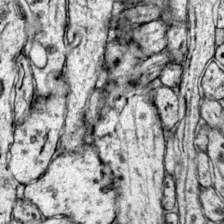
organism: Mouse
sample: Primary visual cortex